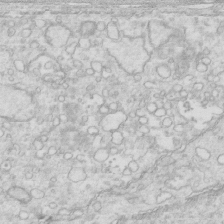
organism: Mouse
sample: Multiciliated cells